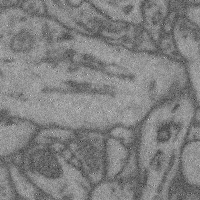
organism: Mouse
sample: Cerebral cortex